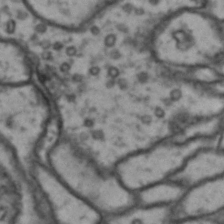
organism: Drosophila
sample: Brain